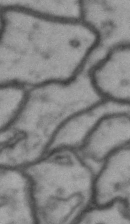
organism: Drosophila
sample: Brain